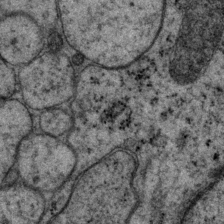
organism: P. pacificus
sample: Pharynx